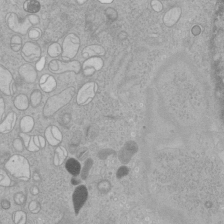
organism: Human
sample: Mitochondria in HCT116 cells